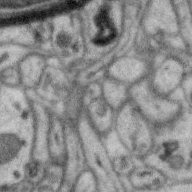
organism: Zebra finch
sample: Brain